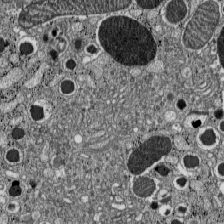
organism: C57BL Mouse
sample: Pancreatic islet